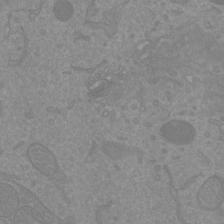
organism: Mouse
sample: Cortical neurons